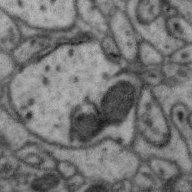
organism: Zebra finch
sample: Brain